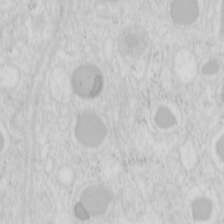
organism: Mouse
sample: Pancreas